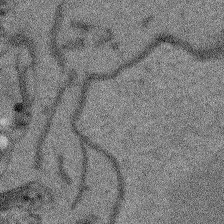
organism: Arabidopsis thaliana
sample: Root tip